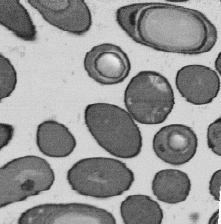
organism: B. subtilis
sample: Bacterial spore